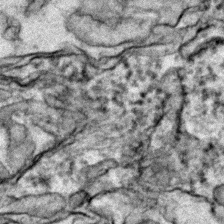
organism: Zebrafish